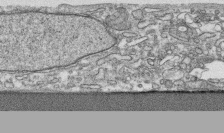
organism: Human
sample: CRL-1474